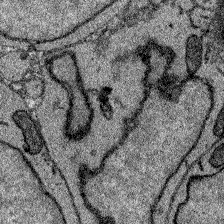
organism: Zebrafish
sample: Larval olfactory bulb